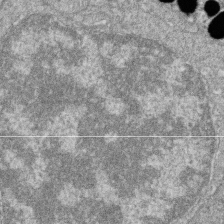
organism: Zebrafish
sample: Cilia; retinal pigment epithelium